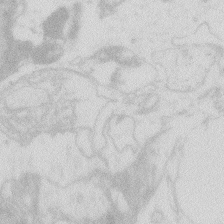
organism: Zebrafish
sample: Macrophage